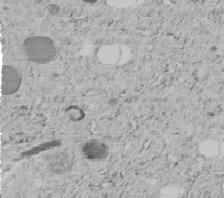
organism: C. elegans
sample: C. elegans embryo early stage